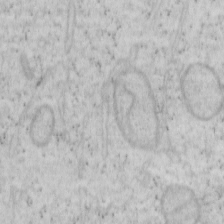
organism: Human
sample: HeLa cells